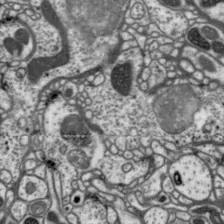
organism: Drosophila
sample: Protocerebral bridge